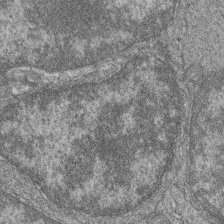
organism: Zebrafish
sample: Cilia; retinal pigment epithelium